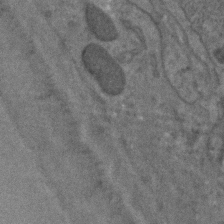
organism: C. elegans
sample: C. elegans embryo